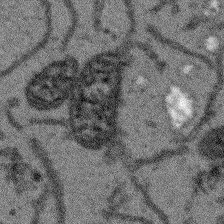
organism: Arabidopsis thaliana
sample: Root tip